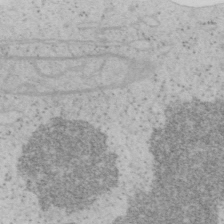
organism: Human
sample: HeLa cells